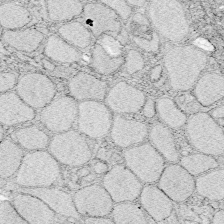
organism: Zebrafish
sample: Whole-Brain